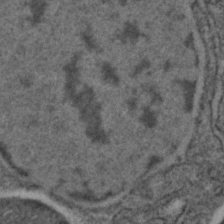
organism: C. elegans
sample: C. elegans embryo